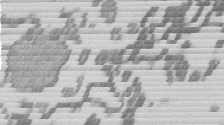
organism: Mouse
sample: Dividing mouse embryo 1 cell stage